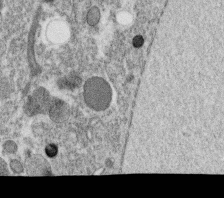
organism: C. elegans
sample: C. elegans oocyte; sperm cells